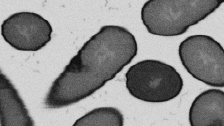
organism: B. subtilis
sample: Bacterial spore